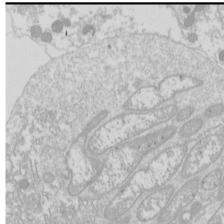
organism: Drosophila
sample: Cell division; meiosis; drosophila spermatocytes